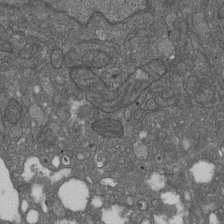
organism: Drosophila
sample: Nephrocyte